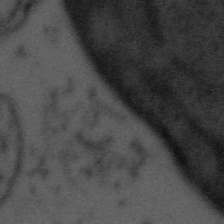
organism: Tuwongella immobilis